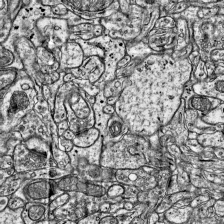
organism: Mouse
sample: Visual Cortex